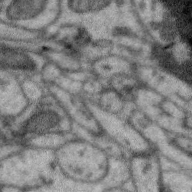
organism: Zebra finch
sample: Brain